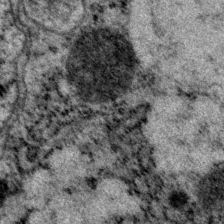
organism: P. pacificus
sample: Pharynx